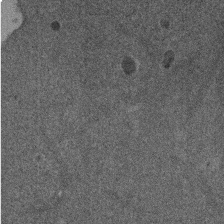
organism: Mouse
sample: Dividing mouse embryo 1 cell stage